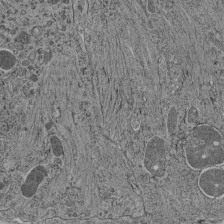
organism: C. elegans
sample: C. elegans pharynx